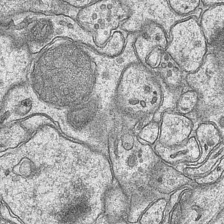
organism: Mouse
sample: CA1 Hippocampus